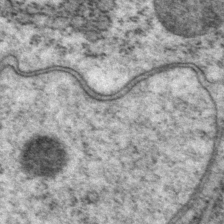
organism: P. pacificus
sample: Pharynx